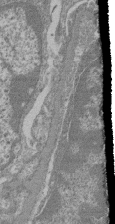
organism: Mouse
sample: Glomerulus